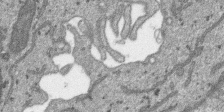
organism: Human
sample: Lung epithelial cells infected with SARS-CoV-2